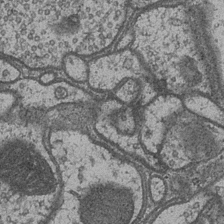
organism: Drosophila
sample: Optic medulla